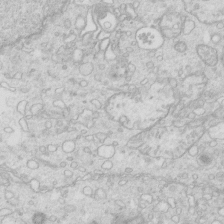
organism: Mouse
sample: Multiciliated cells